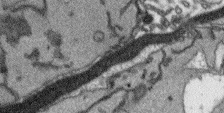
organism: Arabidopsis thaliana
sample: Root tip